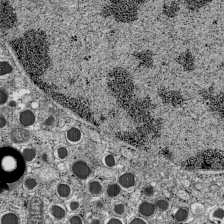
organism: C57BL Mouse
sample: Pancreatic islet